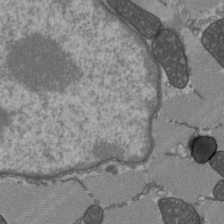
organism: C57BL Mouse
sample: Heart